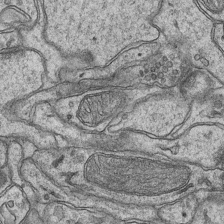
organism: Mouse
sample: CA1 Hippocampus